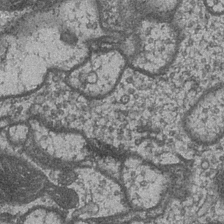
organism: Drosophila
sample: Optic medulla